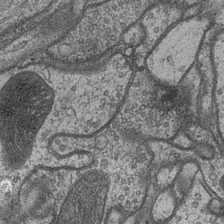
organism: Drosophila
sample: Optic medulla